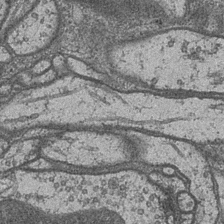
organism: Drosophila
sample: Optic medulla